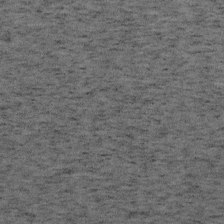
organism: Mouse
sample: OT-I killer T cells with ID8 ovarian cancer cells